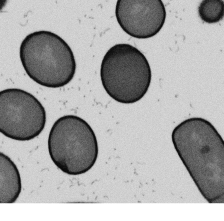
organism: B. subtilis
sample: Bacterial spore